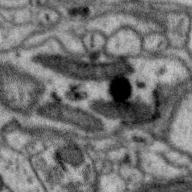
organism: Zebra finch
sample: Brain